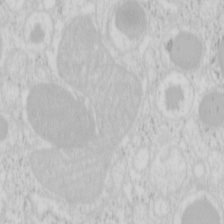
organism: Mouse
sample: Pancreas